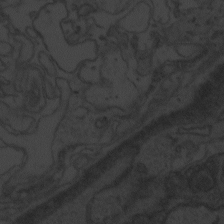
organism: Zebrafish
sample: Macrophage infected with Toxoplasma gondii